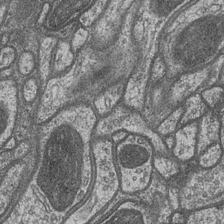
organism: Drosophila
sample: Optic medulla